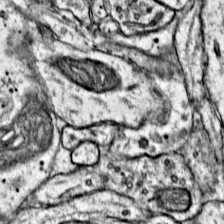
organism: Mouse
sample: Primary visual cortex